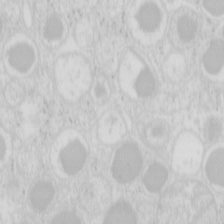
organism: Mouse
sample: Pancreas